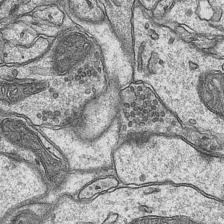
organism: Mouse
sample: CA1 Hippocampus